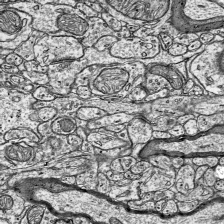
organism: Mouse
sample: Visual Cortex